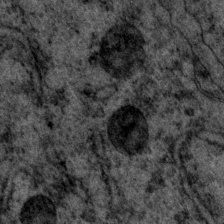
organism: P. pacificus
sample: Pharynx